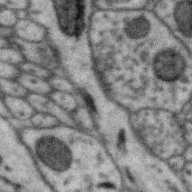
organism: Zebra finch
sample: Brain